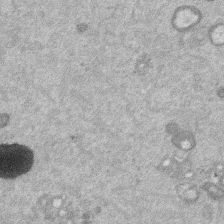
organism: Mouse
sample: Dividing mouse embryo 1 cell stage